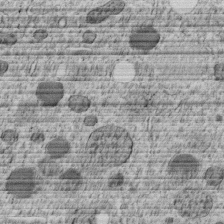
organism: C. elegans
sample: C. elegans embryo early stage